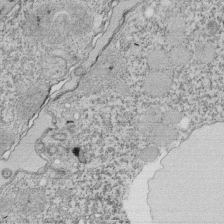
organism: Tetrahymena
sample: Cilia in tetrahymena